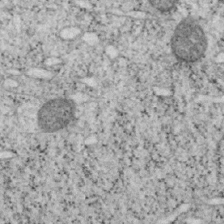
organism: Mouse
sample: OT-I killer T cells with ID8 ovarian cancer cells